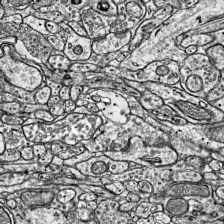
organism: Mouse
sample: Visual Cortex